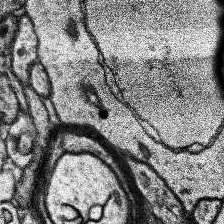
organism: Human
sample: Temporal Lobe